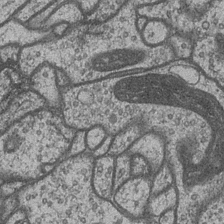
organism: Drosophila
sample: Optic medulla